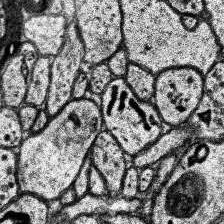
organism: Human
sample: Temporal Lobe